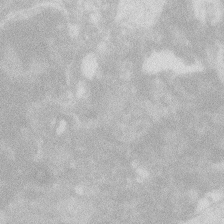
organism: Zebrafish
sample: Macrophage